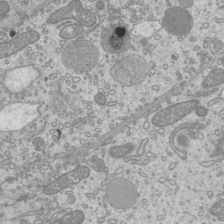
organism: Mouse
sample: Cilia; mouse epididymis